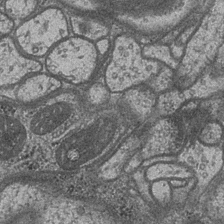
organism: Drosophila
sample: Optic medulla